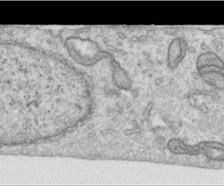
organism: Human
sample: Centriole in RPE cells